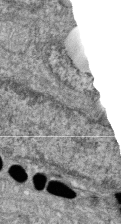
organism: Zebrafish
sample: Cilia; retinal pigment epithelium